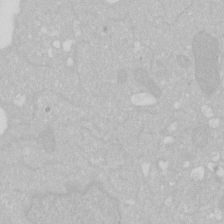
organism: Human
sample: HIV infected U937 cells